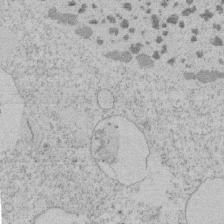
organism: Tetrahymena